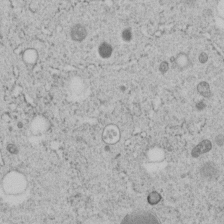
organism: C. elegans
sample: C. elegans embryo early stage